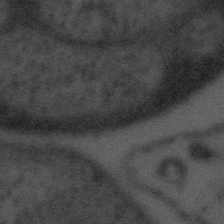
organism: Tuwongella immobilis